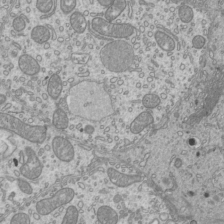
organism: Mouse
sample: Cilia; mouse epididymis